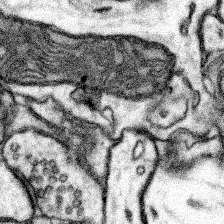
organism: Mouse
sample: Somatosensory cortex neuropil